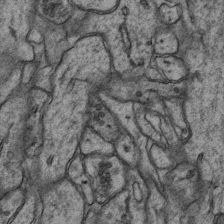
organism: Mouse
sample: CA1 Hippocampus